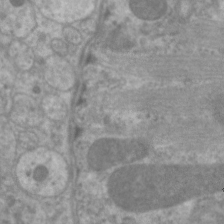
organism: C. elegans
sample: Pharynx